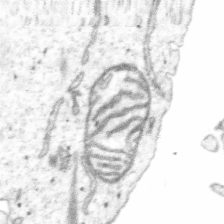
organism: Human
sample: HeLa cells